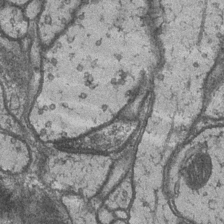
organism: Drosophila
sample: Optic medulla